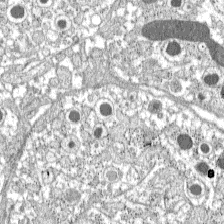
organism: C57BL Mouse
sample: Pancreatic islet